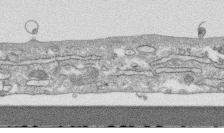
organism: Human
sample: CRL-1474